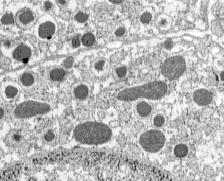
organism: C57BL Mouse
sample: Pancreatic islet